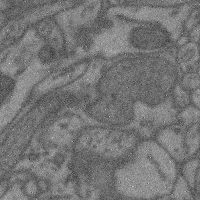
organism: Mouse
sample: Cerebral cortex